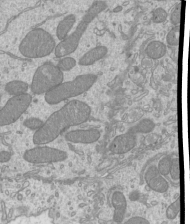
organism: Mouse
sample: Cilia; mouse epididymis